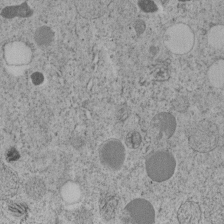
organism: C. elegans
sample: C. elegans embryo early stage